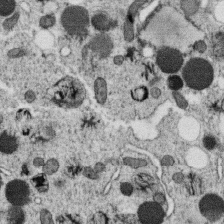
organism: C. elegans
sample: C. elegans oocyte; sperm cells